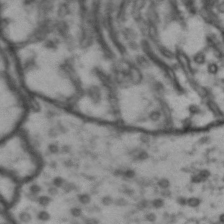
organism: Drosophila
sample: Brain